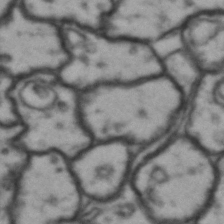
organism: Drosophila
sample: Brain